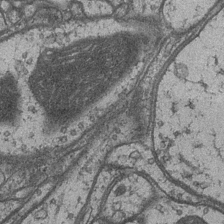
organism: Drosophila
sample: Optic medulla